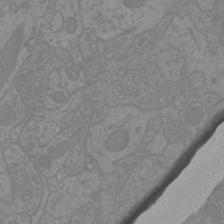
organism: Mouse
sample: Cortical neurons